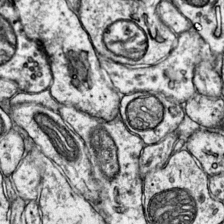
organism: Mouse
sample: Primary visual cortex